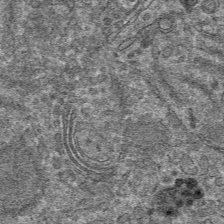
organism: Mouse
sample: Mouse hepatocytes